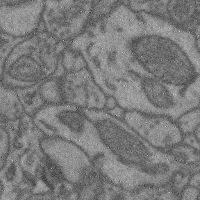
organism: Mouse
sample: Cerebral cortex